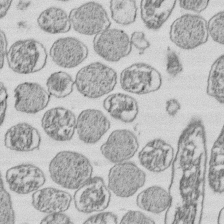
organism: E. coli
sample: Bacterial nucleoid